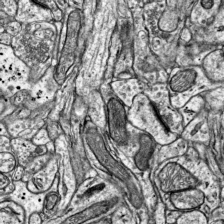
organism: Mouse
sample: Visual Cortex